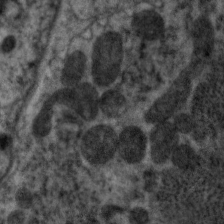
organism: C. elegans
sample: Pharynx